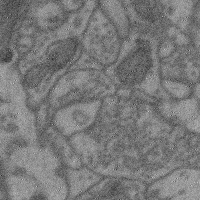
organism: Mouse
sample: Cerebral cortex